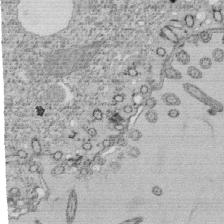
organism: Tetrahymena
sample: Cilia in tetrahymena